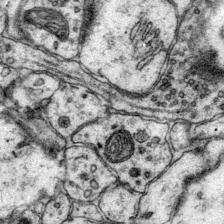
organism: Mouse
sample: Primary visual cortex